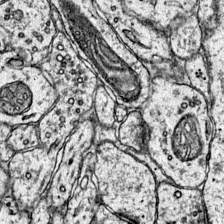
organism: Mouse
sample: Primary visual cortex